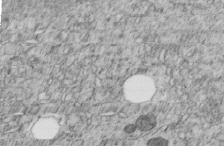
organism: C. elegans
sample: C. elegans embryo early stage